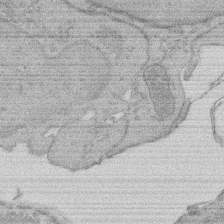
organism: Rat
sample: Salivary granule